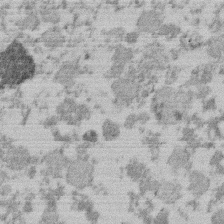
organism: Mouse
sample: Dividing mouse embryo 1 cell stage